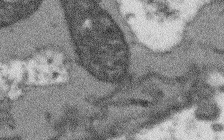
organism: Arabidopsis thaliana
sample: Root tip